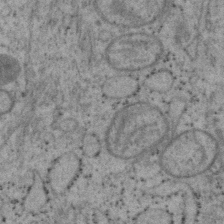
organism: Human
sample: HeLa cells